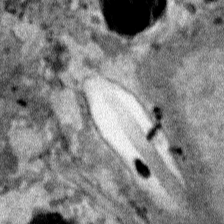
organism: Human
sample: Mitochondria in HCT116 cells